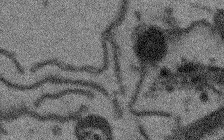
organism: Arabidopsis thaliana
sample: Root tip